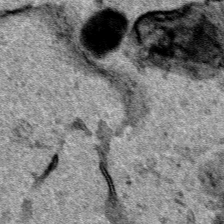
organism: Human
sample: Mitochondria in HCT116 cells